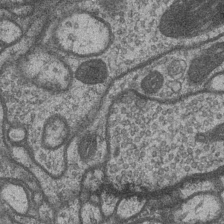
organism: Drosophila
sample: Optic medulla